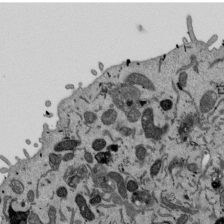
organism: Mouse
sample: ED-1 cell nuclei; centrioles